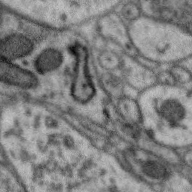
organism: Zebra finch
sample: Brain